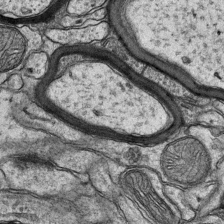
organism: Mouse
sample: CA1 Hippocampus